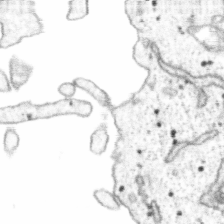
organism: Human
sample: HeLa cells